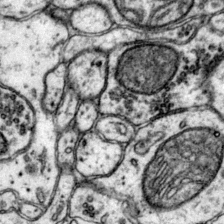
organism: Mouse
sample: Primary visual cortex